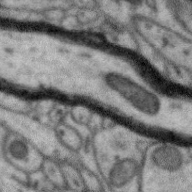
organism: Zebra finch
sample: Brain